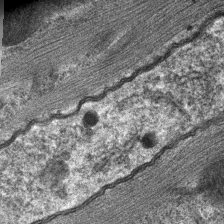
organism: C. elegans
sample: Pharynx